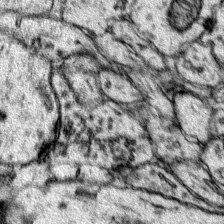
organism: Mouse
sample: Primary visual cortex